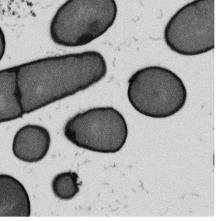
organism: B. subtilis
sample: Bacterial spore